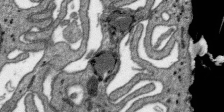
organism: Human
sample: Lung epithelial cells, uninfected (mock) control